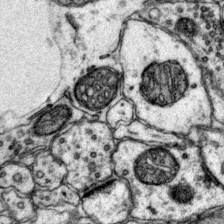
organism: Mouse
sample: Primary visual cortex